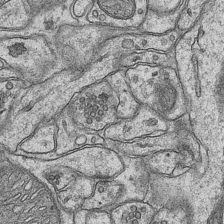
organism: Mouse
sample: CA1 Hippocampus